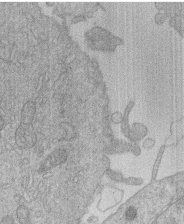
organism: Human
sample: Macrophage cells